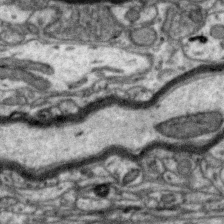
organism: Zebra finch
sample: Brain